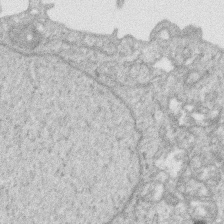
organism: Human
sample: HeLa cell HIV synapse